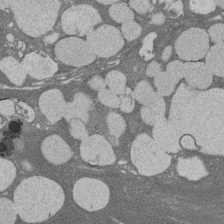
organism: Rat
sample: Salivary granule